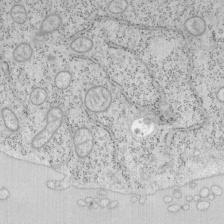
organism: Mouse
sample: OT-I killer T cells with ID8 ovarian cancer cells